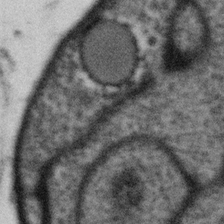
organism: Gemmata obscuriglobus